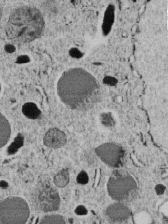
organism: C. elegans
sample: C. elegans embryo early stage